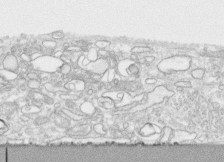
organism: Human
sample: CRL-1474